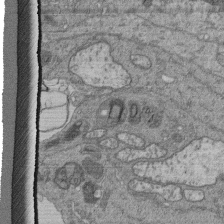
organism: Human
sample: Retinal organoid Rod and Cone cells